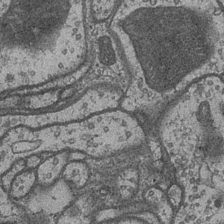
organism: Drosophila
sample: Optic medulla